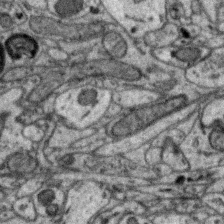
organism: Zebra finch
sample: Brain